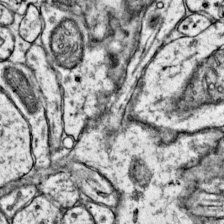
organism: Mouse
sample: Primary visual cortex